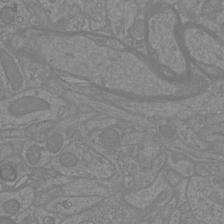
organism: Mouse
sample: Cortical neurons